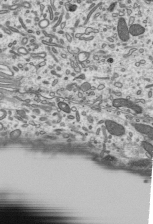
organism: Mouse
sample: Mouse epididymis efferent ductule cilia